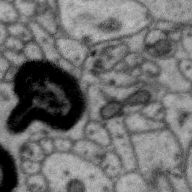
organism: Zebra finch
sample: Brain